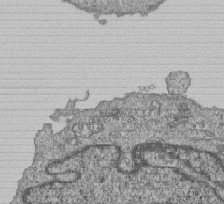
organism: Human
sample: MDA-MB-231 cells